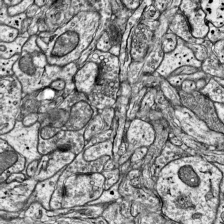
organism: Mouse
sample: Visual Cortex